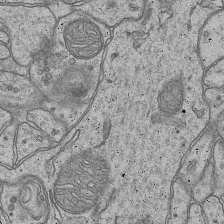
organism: Mouse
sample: CA1 Hippocampus